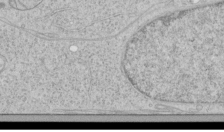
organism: Human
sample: Mitochondria in HCT116 cells